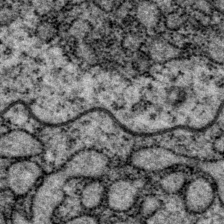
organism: P. pacificus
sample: Pharynx